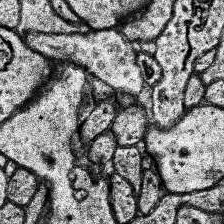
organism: Human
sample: Temporal Lobe